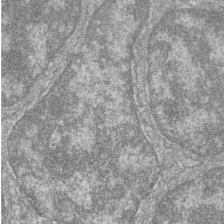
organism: Zebrafish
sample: Cilia; retinal pigment epithelium